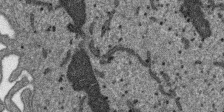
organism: Human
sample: Lung epithelial cells infected with SARS-CoV-2